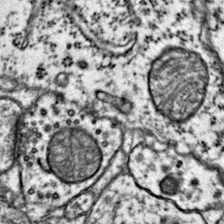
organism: Mouse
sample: Primary visual cortex